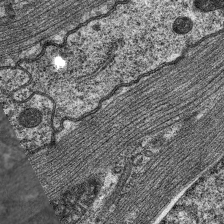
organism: C. elegans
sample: Pharynx